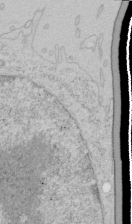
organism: Human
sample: Mitochondria in HCT116 cells